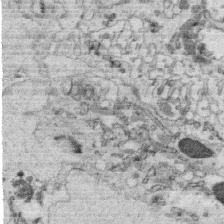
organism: C. elegans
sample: C. elegans oocyte; sperm cells